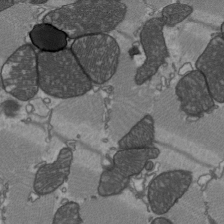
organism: C57BL Mouse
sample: Heart